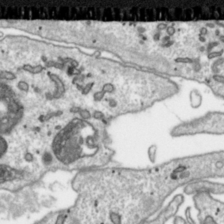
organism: Toxoplasma gondii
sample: Parasites in a vacuole inside a host cell